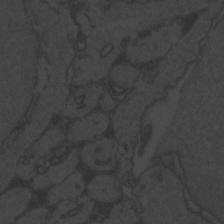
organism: Zebrafish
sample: Macrophage infected with Toxoplasma gondii